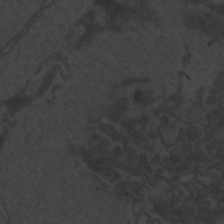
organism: Zebrafish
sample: Macrophage infected with Toxoplasma gondii